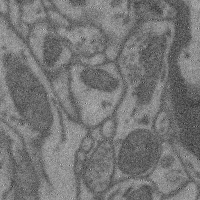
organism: Mouse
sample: Cerebral cortex